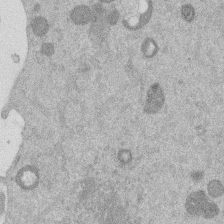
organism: Mouse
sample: Dividing mouse embryo 1 cell stage